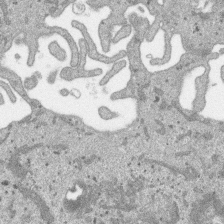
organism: Human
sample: Lung epithelial cells infected with SARS-CoV-2